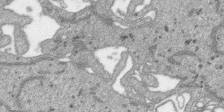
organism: Human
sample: Lung epithelial cells infected with SARS-CoV-2